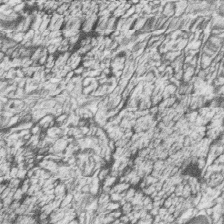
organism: Zebrafish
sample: synaptic ribbons in rod cells and cone cells